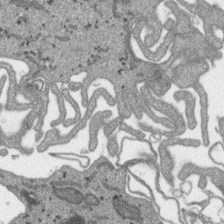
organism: Human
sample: Lung epithelial cells infected with SARS-CoV-2